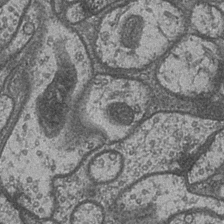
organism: Drosophila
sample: Optic medulla